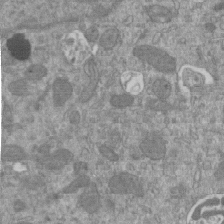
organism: Mouse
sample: ED-1 cell nuclei; centrioles